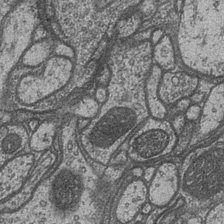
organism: Drosophila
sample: Optic medulla